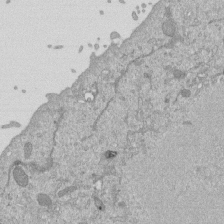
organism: Mouse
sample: ED-1 cell nuclei; centrioles